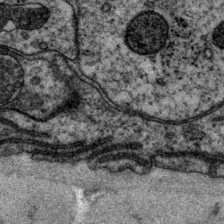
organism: P. pacificus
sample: Pharynx